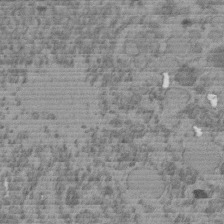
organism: C. elegans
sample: C. elegans embryo early stage